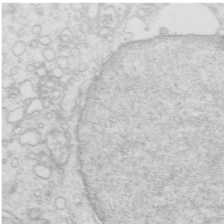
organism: Mouse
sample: Multiciliated cells